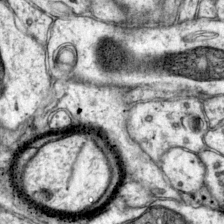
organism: Mouse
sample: Primary visual cortex